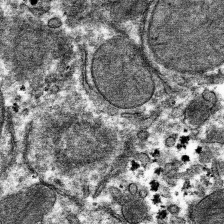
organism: Mouse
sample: Mouse hepatocytes